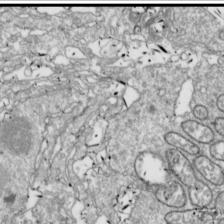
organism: Drosophila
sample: Cell division; meiosis; drosophila spermatocytes